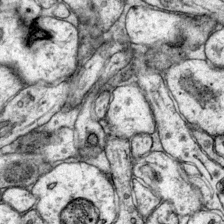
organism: Mouse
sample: Primary visual cortex